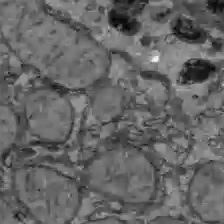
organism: C57BL Mouse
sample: Liver